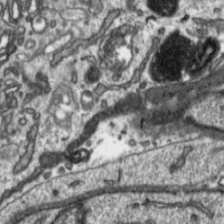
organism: Toxoplasma gondii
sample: Parasites in a vacuole inside a host cell